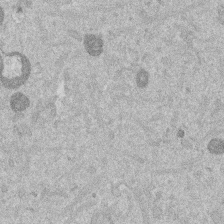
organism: Mouse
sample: Dividing mouse embryo 1 cell stage